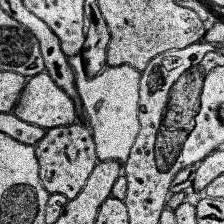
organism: Human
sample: Temporal Lobe